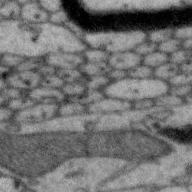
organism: Zebra finch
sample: Brain